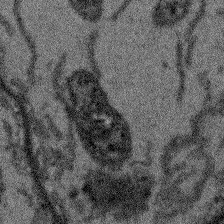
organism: Arabidopsis thaliana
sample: Root tip